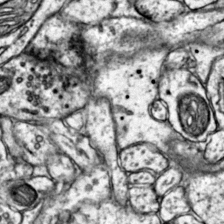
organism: Mouse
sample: Primary visual cortex